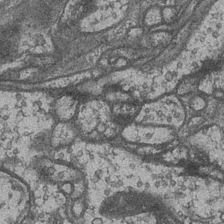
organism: Drosophila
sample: Optic medulla